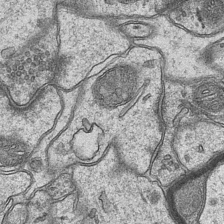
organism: Mouse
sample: CA1 Hippocampus